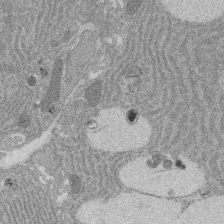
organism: Rat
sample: Salivary granule